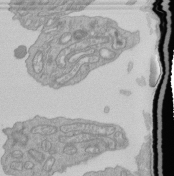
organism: Human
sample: Retinal organoid Rod and Cone cells